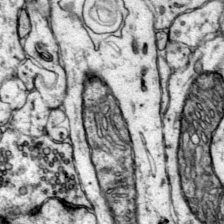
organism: Mouse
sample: Primary visual cortex